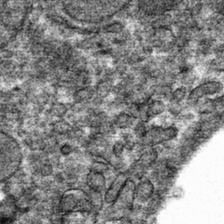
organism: Mouse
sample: Mouse hepatocytes